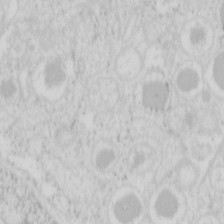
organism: Mouse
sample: Pancreas